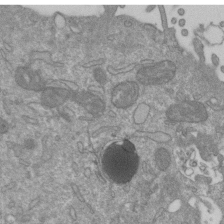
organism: Mouse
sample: ED-1 cell nuclei; centrioles